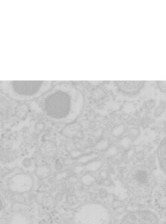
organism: Mouse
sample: Pancreas